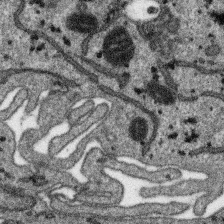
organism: Human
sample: Lung epithelial cells infected with SARS-CoV-2